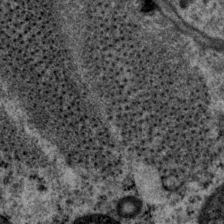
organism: P. pacificus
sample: Pharynx